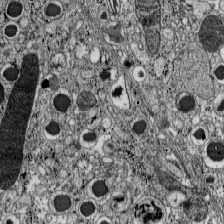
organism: C57BL Mouse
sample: Pancreatic islet